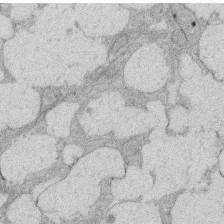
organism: Rat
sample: Salivary granule